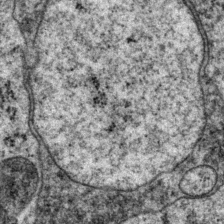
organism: P. pacificus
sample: Pharynx